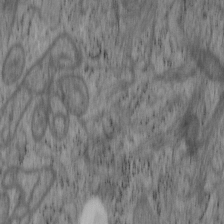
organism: Human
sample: HeLa cells